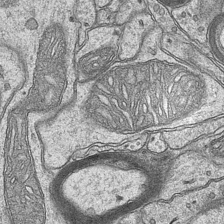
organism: Mouse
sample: CA1 Hippocampus